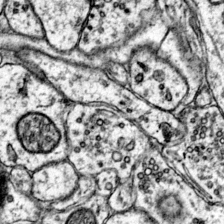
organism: Mouse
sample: Primary visual cortex